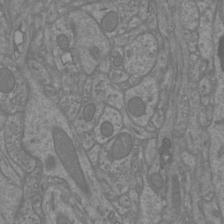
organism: Mouse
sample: Cortical neurons